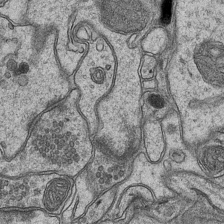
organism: Mouse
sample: CA1 Hippocampus